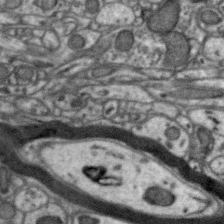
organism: Zebra finch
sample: Brain